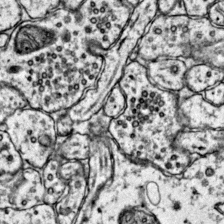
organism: Mouse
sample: Primary visual cortex